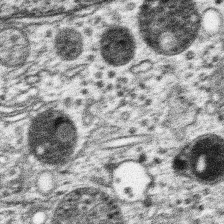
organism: Human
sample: HeLa cells